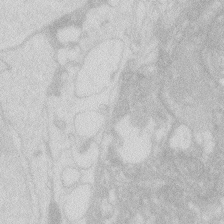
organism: Zebrafish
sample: Macrophage